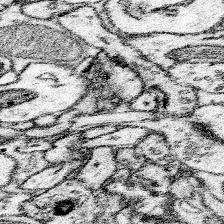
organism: Mouse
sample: Somatosensory cortex neuropil